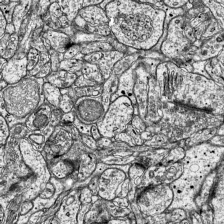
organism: Mouse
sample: Visual Cortex